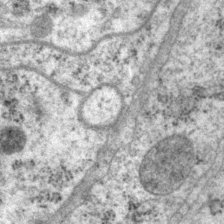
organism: P. pacificus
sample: Pharynx